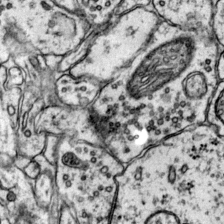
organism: Mouse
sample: Primary visual cortex